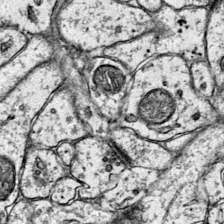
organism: Mouse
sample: Primary visual cortex